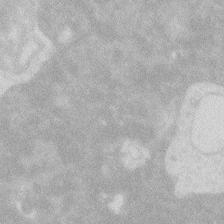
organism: Zebrafish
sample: Macrophage